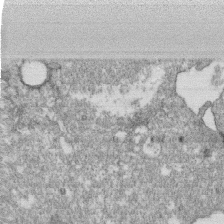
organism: African green monkey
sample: Vero E6 cells infected with SARS-CoV-2